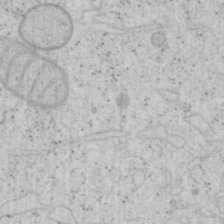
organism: Human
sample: HeLa cells